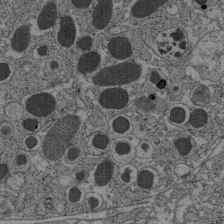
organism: C57BL Mouse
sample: Pancreatic islet